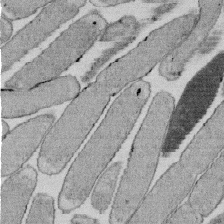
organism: E. coli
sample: Bacterial nucleoid